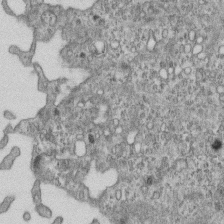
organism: Mouse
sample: Centriole in ependymal cells